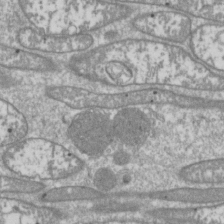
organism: Drosophila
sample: Cell division; meiosis; drosophila spermatocytes